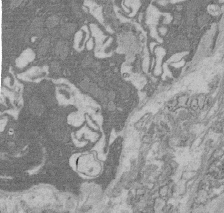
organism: Rat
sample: Salivary granule